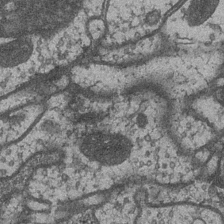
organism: Drosophila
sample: Optic medulla